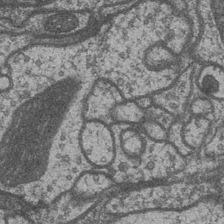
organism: Drosophila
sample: Optic medulla